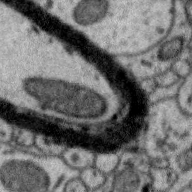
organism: Zebra finch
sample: Brain